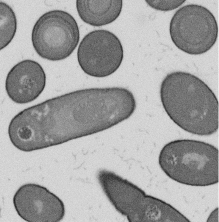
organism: B. subtilis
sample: Bacterial spore